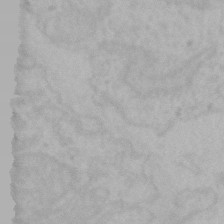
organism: Mouse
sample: Choroid plexus